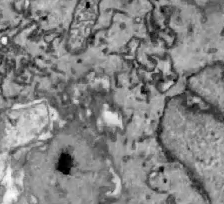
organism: Zebrafish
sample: Actinotrichia fibers